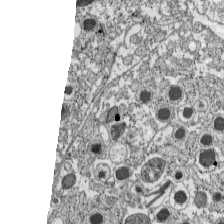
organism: C57BL Mouse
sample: Pancreatic islet